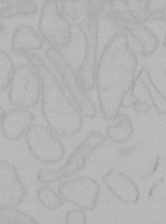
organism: Mouse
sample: Choroid plexus